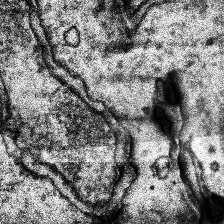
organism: Human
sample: Temporal Lobe